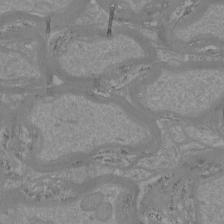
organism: Mouse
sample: Cortical neurons